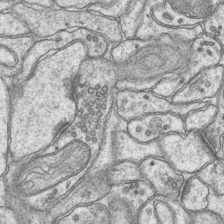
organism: Mouse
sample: CA1 Hippocampus